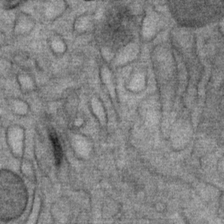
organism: Mouse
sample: Mouse Salivary gland